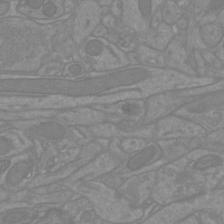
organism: Mouse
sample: Cortical neurons